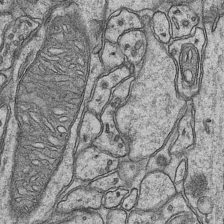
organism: Mouse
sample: CA1 Hippocampus